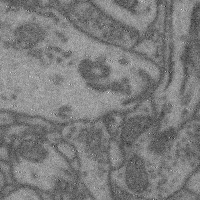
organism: Mouse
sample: Cerebral cortex